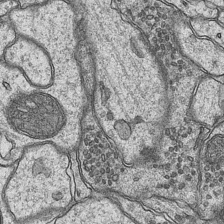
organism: Mouse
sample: CA1 Hippocampus